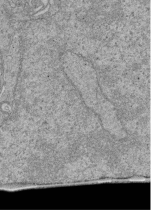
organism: Human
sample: Retinal organoid Rod and Cone cells